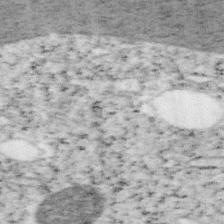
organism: Mouse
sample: OT-I killer T cells with ID8 ovarian cancer cells